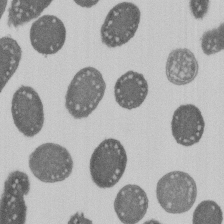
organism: E. coli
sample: Bacterial nucleoid